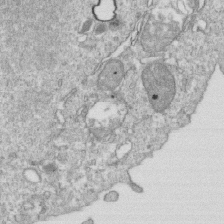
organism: Mouse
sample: Activated OT-1 CD8+ T cells